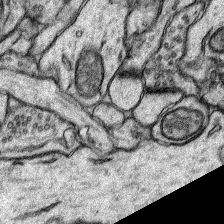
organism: Rat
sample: Hippocampus